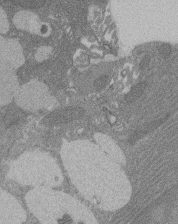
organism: Rat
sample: Salivary granule